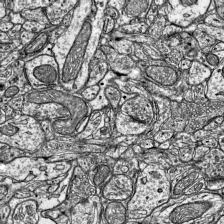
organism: Mouse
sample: Visual Cortex